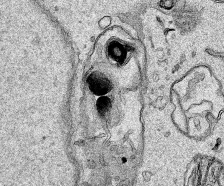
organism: Human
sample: Mitochondria in HCT116 cells